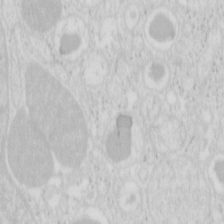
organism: Mouse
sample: Pancreas